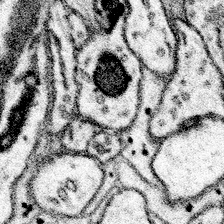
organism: Mouse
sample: Somatosensory cortex neuropil